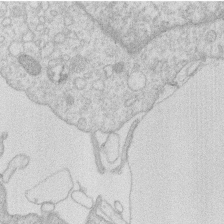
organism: Human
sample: Macrophage cells